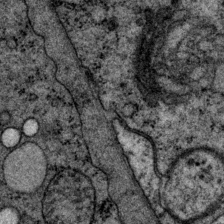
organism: P. pacificus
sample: Pharynx